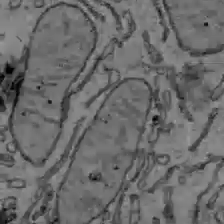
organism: C57BL Mouse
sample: Liver